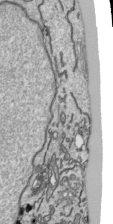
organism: Human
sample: Mitochondria in HCT116 cells